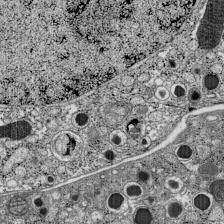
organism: C57BL Mouse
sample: Pancreatic islet